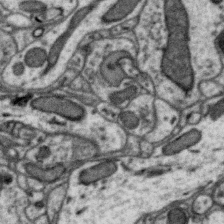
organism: Zebra finch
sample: Brain